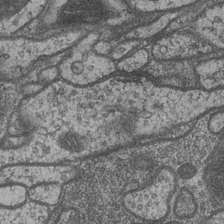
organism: Drosophila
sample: Optic medulla